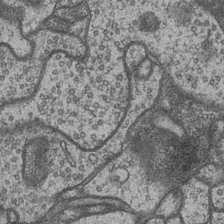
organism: Drosophila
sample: Optic medulla